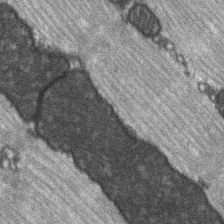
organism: C57BL Mouse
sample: Soleus